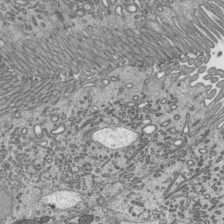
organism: Mouse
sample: Mouse epididymis efferent ductule cilia